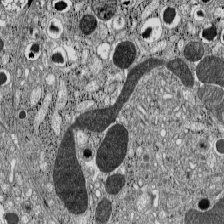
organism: C57BL Mouse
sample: Pancreatic islet